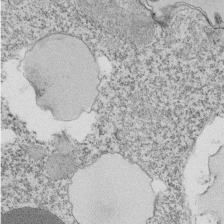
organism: Tetrahymena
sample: Cilia in tetrahymena